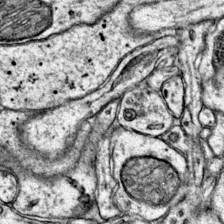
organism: Mouse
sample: Primary visual cortex